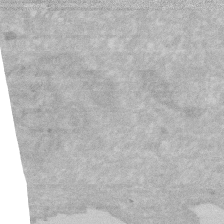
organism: Human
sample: HIV infected U937 cells